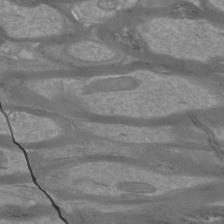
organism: Mouse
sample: Cortical neurons